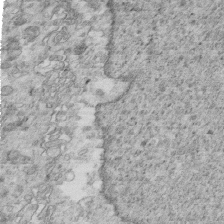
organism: Mouse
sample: Multiciliated cells